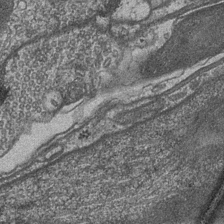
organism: Drosophila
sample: Optic medulla